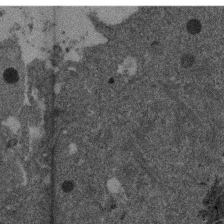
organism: Mouse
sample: Dividing mouse embryo 1 cell stage